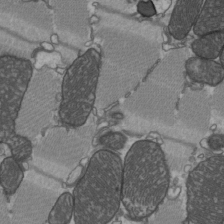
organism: C57BL Mouse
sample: Heart